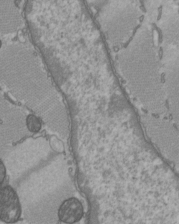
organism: C57BL Mouse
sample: Heart